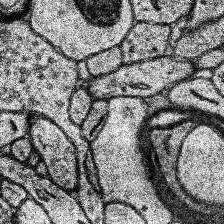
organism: Human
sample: Temporal Lobe